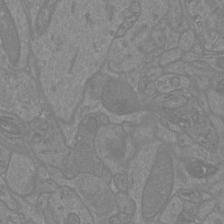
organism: Mouse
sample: Cortical neurons